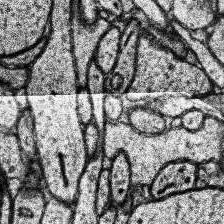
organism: Human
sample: Temporal Lobe